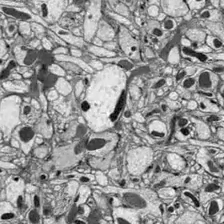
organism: Drosophila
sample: Optic lobe